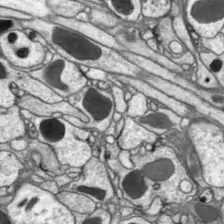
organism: Drosophila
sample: Optic lobe